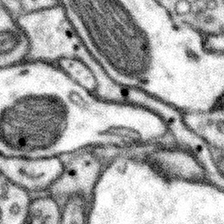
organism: Mouse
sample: Somatosensory cortex neuropil